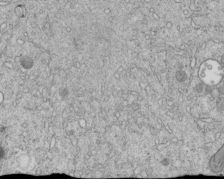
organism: C. elegans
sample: C. elegans embryo early stage